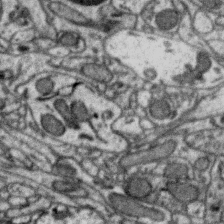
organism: Zebra finch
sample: Brain